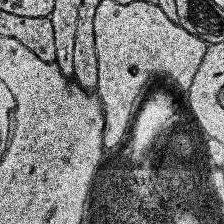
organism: Human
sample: Temporal Lobe